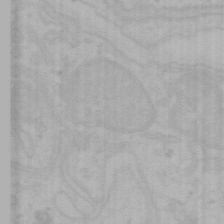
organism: Mouse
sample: Choroid plexus